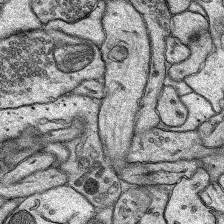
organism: Rat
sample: Hippocampus